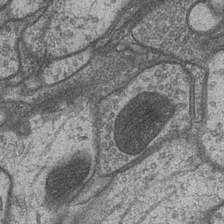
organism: Drosophila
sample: Optic medulla